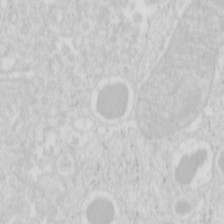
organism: Mouse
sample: Pancreas